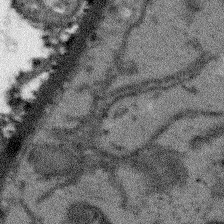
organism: Arabidopsis thaliana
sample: Root tip